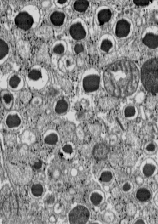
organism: C57BL Mouse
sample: Pancreatic islet